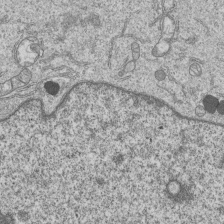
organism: Human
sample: MDA-MB-231 cells